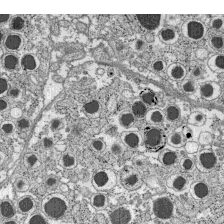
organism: C57BL Mouse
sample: Pancreatic islet